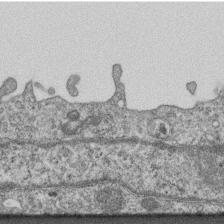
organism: Mouse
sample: Centriole in ependymal cells